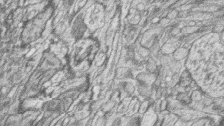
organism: Zebrafish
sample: synaptic ribbons in rod cells and cone cells